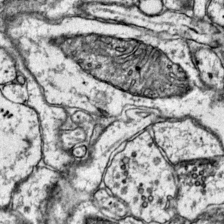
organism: Mouse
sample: Primary visual cortex